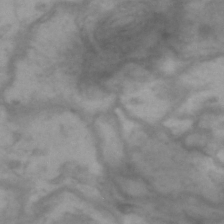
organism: Drosophila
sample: Brain